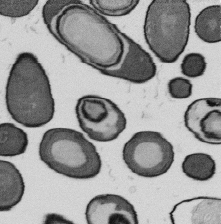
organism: B. subtilis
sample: Bacterial spore